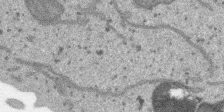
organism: Human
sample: Lung epithelial cells infected with SARS-CoV-2